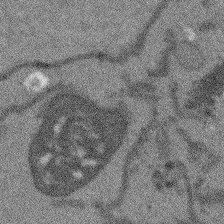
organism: Arabidopsis thaliana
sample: Root tip